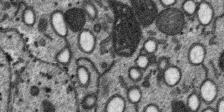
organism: Human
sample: Lung epithelial cells infected with SARS-CoV-2